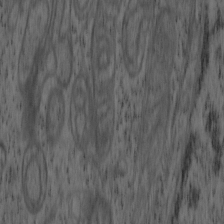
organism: Human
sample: HeLa cells